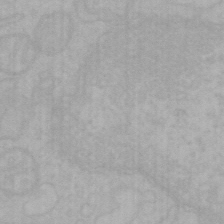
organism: Mouse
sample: Choroid plexus